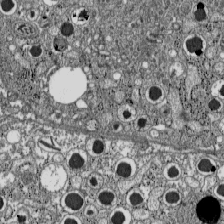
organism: C57BL Mouse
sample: Pancreatic islet